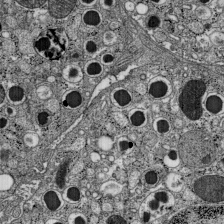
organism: C57BL Mouse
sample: Pancreatic islet